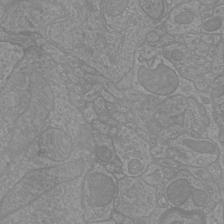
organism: Mouse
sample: Cortical neurons